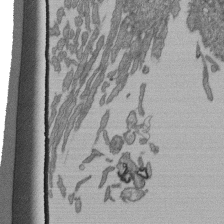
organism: Human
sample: Retinal organoid Rod and Cone cells